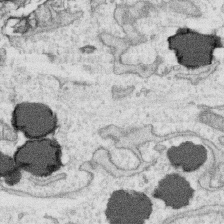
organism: Human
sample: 1205lu cells